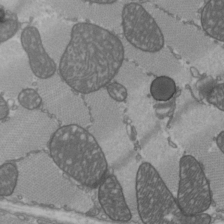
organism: C57BL Mouse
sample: Heart